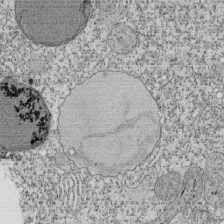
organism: Tetrahymena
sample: Cilia in tetrahymena